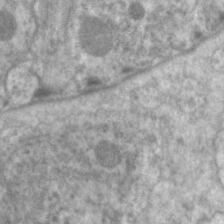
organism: C. elegans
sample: Pharynx